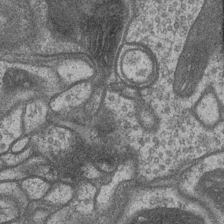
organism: Drosophila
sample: Optic medulla